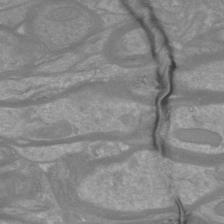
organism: Mouse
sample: Cortical neurons